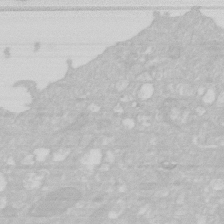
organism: Human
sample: HIV infected U937 cells